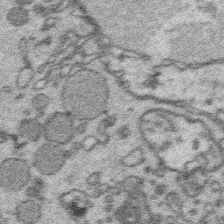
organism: Platynereis dumerilii